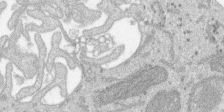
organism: Human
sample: Lung epithelial cells infected with SARS-CoV-2